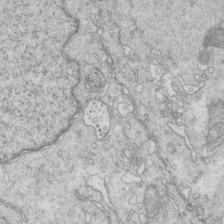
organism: Mouse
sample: Multiciliated cells